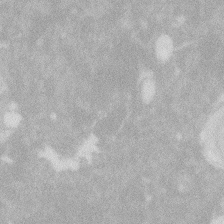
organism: Zebrafish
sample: Macrophage